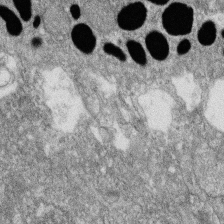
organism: Zebrafish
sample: Cilia; retinal pigment epithelium